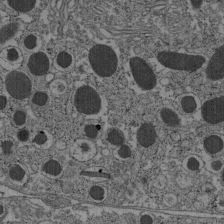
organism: C57BL Mouse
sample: Pancreatic islet